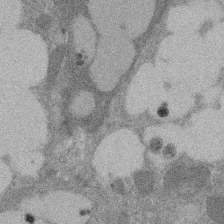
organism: Rat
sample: Salivary granule